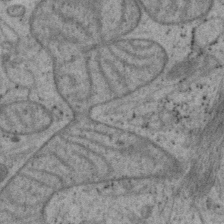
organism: Human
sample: HeLa cells